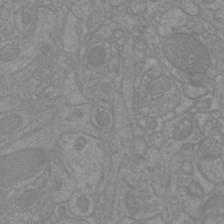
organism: Mouse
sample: Cortical neurons